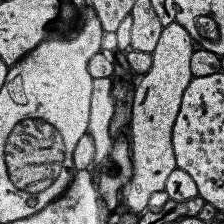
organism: Human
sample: Temporal Lobe